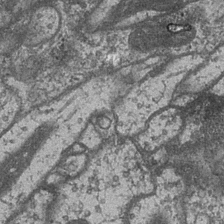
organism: Drosophila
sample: Optic medulla